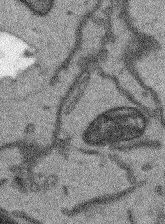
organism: Arabidopsis thaliana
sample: Root tip